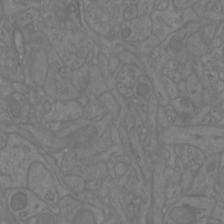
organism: Mouse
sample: Cortical neurons